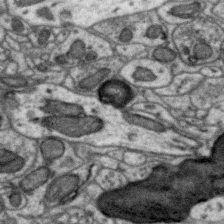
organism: Zebra finch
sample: Brain